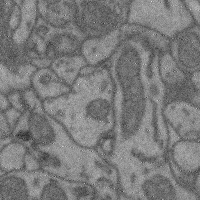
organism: Mouse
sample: Cerebral cortex